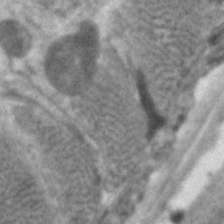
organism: C. elegans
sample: Pharynx